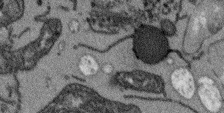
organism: Arabidopsis thaliana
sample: Root tip